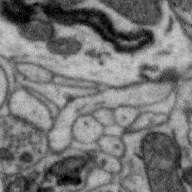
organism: Zebra finch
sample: Brain